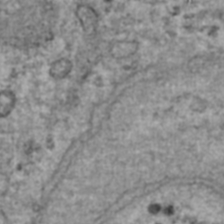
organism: Human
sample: Blood